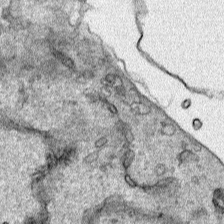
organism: Human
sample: Mitochondria in HCT116 cells